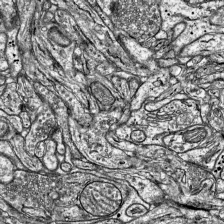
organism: Mouse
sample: Visual Cortex